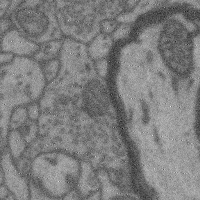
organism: Mouse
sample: Cerebral cortex